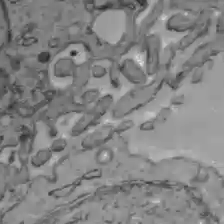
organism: C57BL Mouse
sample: Liver